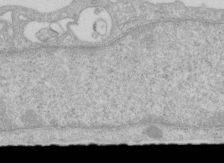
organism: Human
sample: Centriole in RPE cells